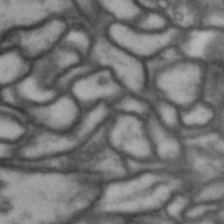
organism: Drosophila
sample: Brain